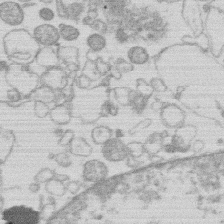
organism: Human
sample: Macrophage cells